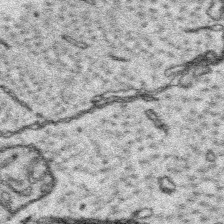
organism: Platynereis dumerilii